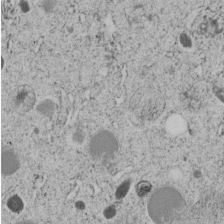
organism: C. elegans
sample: C. elegans embryo early stage